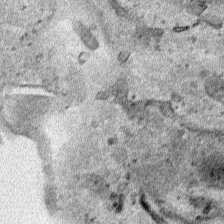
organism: Human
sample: Mitochondria in HCT116 cells